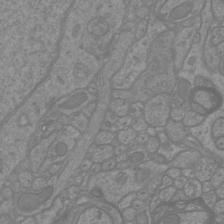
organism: Mouse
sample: Cortical neurons